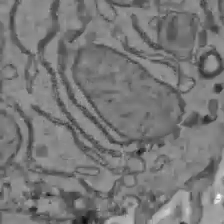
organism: C57BL Mouse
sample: Liver